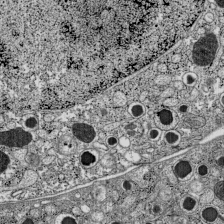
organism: C57BL Mouse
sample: Pancreatic islet